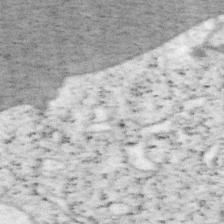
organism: Mouse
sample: OT-I killer T cells with ID8 ovarian cancer cells